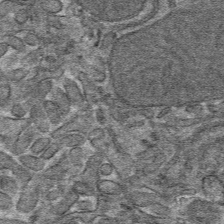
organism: Mouse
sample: Mouse hepatocytes